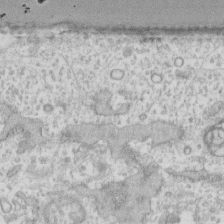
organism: Human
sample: Fibroblast cells